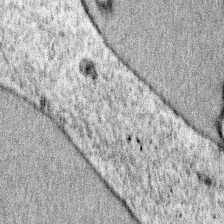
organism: Human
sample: HeLa cells